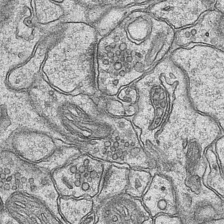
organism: Mouse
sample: CA1 Hippocampus